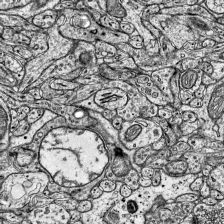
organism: Mouse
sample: Visual Cortex